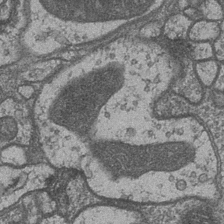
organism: Drosophila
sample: Optic medulla